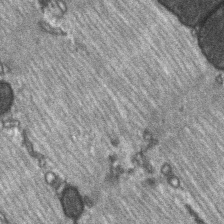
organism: C57BL Mouse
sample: Soleus